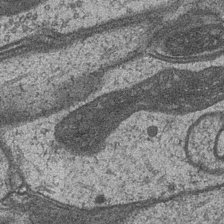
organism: Drosophila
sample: Optic medulla